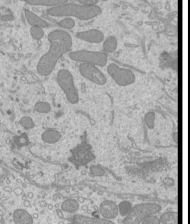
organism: Mouse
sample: Cilia; mouse epididymis